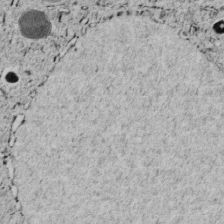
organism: C. elegans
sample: C. elegans embryo early stage